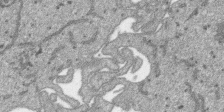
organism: Human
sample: Lung epithelial cells infected with SARS-CoV-2